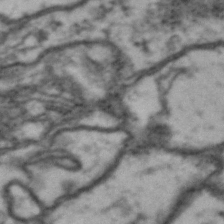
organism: Drosophila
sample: Brain